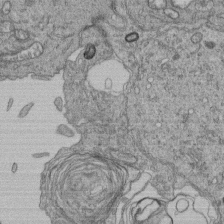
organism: Human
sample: Retinal organoid Rod and Cone cells